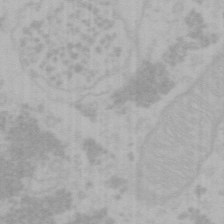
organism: Mouse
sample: Choroid plexus